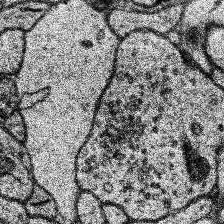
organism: Human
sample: Temporal Lobe